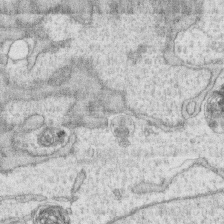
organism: Human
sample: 1205lu cells